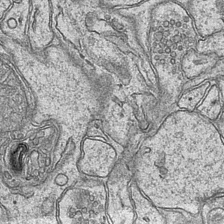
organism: Mouse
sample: CA1 Hippocampus